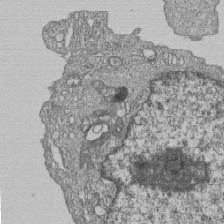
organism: Human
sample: MDA-MB-231 cells